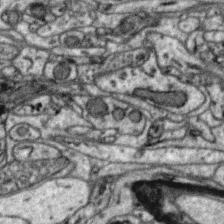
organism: Zebra finch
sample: Brain